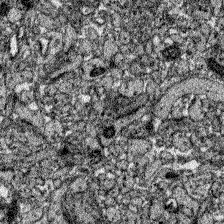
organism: Zebrafish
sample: Larval olfactory bulb